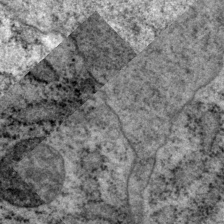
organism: P. pacificus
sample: Pharynx